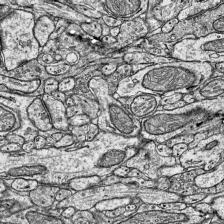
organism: Mouse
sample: Visual Cortex